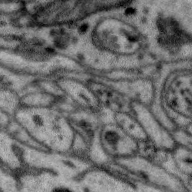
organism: Zebra finch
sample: Brain